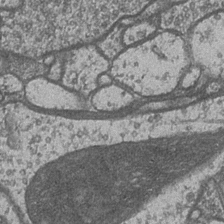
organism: Drosophila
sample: Optic medulla